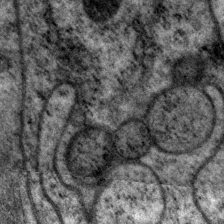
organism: P. pacificus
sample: Pharynx